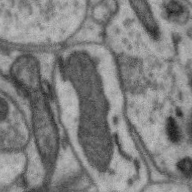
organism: Zebra finch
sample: Brain